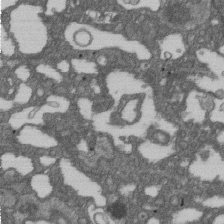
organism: Drosophila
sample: Nephrocyte